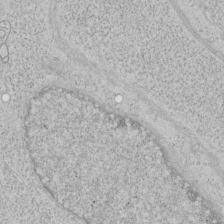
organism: Human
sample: Mitochondria in HCT116 cells